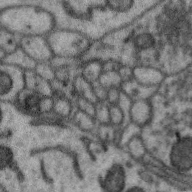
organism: Zebra finch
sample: Brain